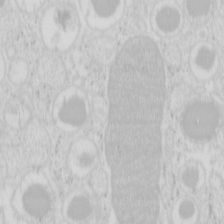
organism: Mouse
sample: Pancreas